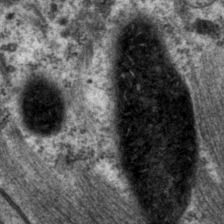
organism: P. pacificus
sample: Pharynx